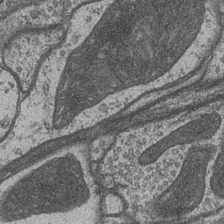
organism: Drosophila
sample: Optic medulla